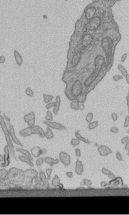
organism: Human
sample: Retinal organoid Rod and Cone cells